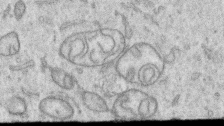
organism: Human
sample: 1205lu cells